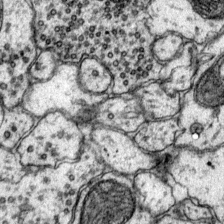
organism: Mouse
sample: Primary visual cortex